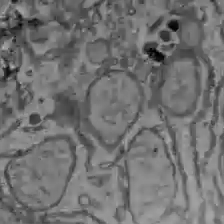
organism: C57BL Mouse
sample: Liver